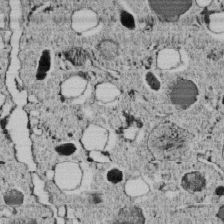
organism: C. elegans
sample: C. elegans embryo early stage